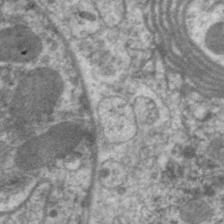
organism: C. elegans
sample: Pharynx